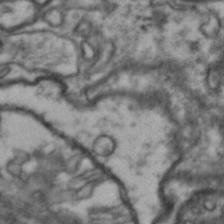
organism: Drosophila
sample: Brain